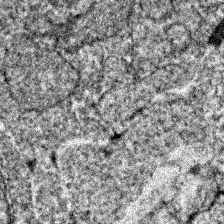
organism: Zebrafish